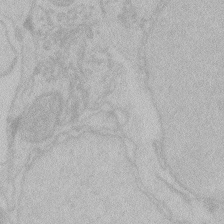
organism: Zebrafish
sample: Macrophage infected with Toxoplasma gondii